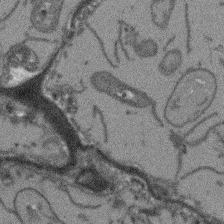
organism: Arabidopsis thaliana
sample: Root tip